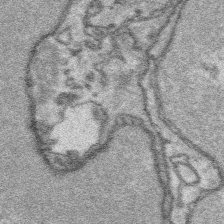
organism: Platynereis dumerilii